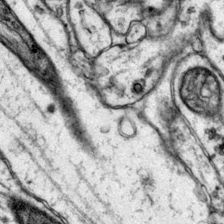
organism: Mouse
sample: Primary visual cortex